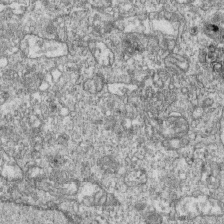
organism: Human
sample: HeLa cell HIV synapse